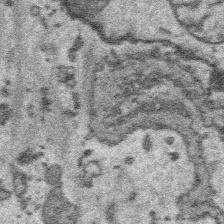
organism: Platynereis dumerilii